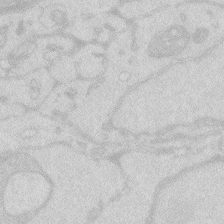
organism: Zebrafish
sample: Macrophage